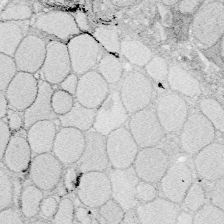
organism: Zebrafish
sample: Whole-Brain